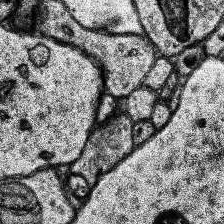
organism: Human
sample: Temporal Lobe